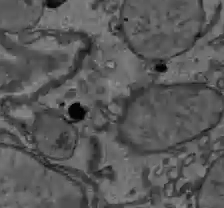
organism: C57BL Mouse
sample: Liver